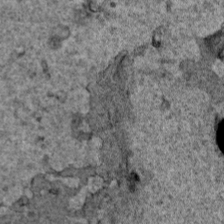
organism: Human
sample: Mitochondria in HCT116 cells